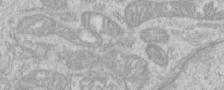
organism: Human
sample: Centriole in RPE cells